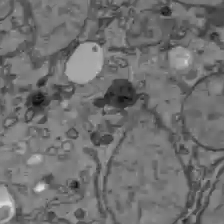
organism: C57BL Mouse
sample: Liver